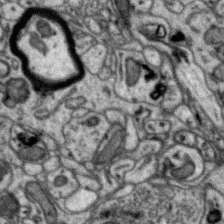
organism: Zebra finch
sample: Brain